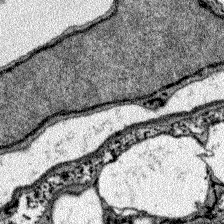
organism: Zebrafish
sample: Larval olfactory bulb